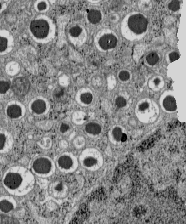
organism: C57BL Mouse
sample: Pancreatic islet